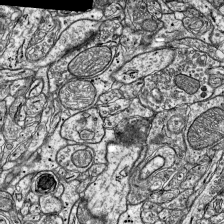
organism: Mouse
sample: Visual Cortex